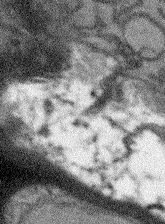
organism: Arabidopsis thaliana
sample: Root tip